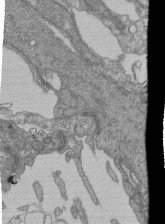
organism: Human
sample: Retinal organoid Rod and Cone cells